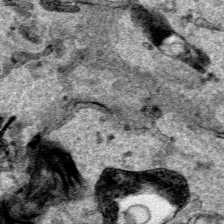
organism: Human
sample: Mitochondria in HCT116 cells